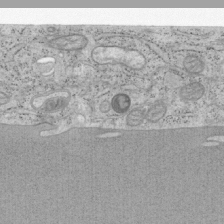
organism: Human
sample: HeLa cells